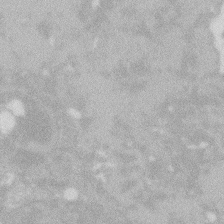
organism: Zebrafish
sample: Macrophage